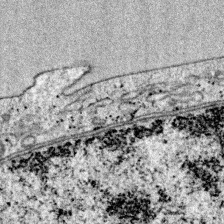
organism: Human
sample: HeLa cells